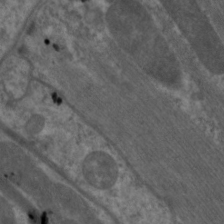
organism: C. elegans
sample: Pharynx